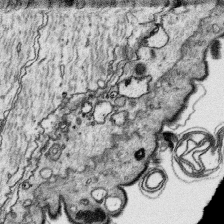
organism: Platynereis dumerilii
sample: Parapodia